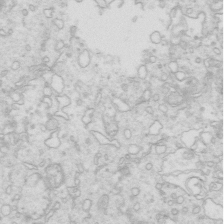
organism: Mouse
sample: Multiciliated cells